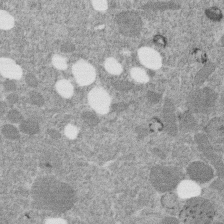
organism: C. elegans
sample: C. elegans embryo early stage